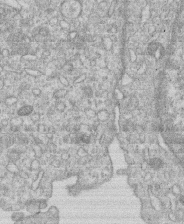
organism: Human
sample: Macrophage cells